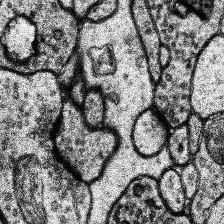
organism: Human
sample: Temporal Lobe